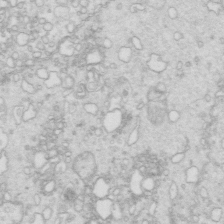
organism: Mouse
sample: Multiciliated cells